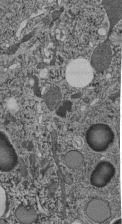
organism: C. elegans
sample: C. elegans pharynx